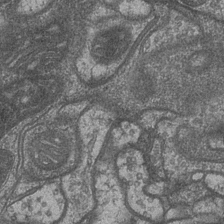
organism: Drosophila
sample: Optic medulla